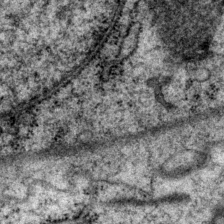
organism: P. pacificus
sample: Pharynx